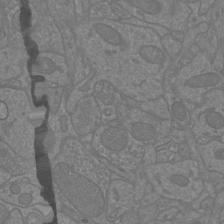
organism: Mouse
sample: Cortical neurons